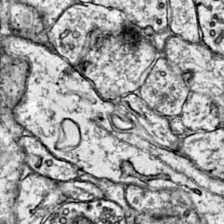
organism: Mouse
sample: Primary visual cortex